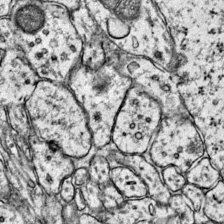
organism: Mouse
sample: Primary visual cortex